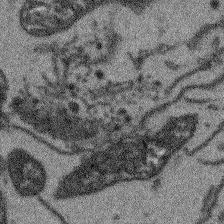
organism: Arabidopsis thaliana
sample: Root tip